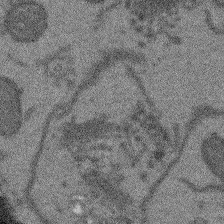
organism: Arabidopsis thaliana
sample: Root tip